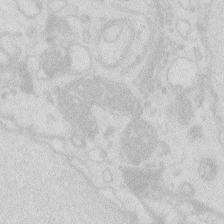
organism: Zebrafish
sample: Macrophage